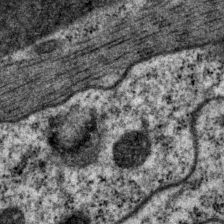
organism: P. pacificus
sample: Pharynx